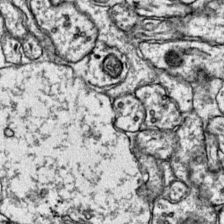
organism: Mouse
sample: Primary visual cortex